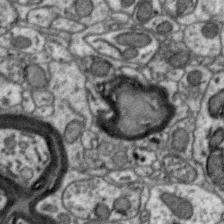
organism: Zebra finch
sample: Brain